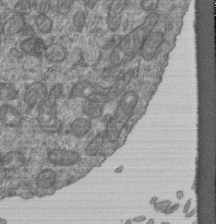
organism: Human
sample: Retinal organoid Rod and Cone cells